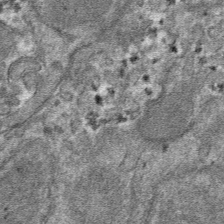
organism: Mouse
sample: Mouse hepatocytes